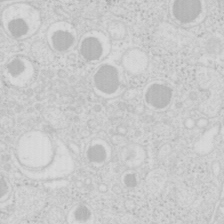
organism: Mouse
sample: Pancreas